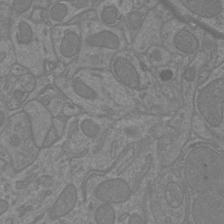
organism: Mouse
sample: Cortical neurons